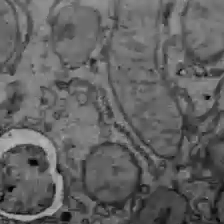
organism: C57BL Mouse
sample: Liver